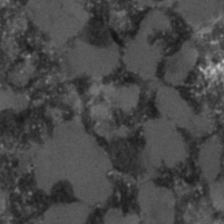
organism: C. elegans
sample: C. elegans embryo